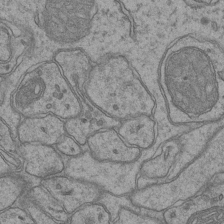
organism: Mouse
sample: CA1 Hippocampus